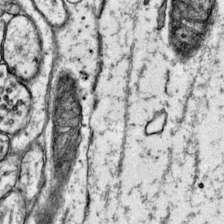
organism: Mouse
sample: Primary visual cortex